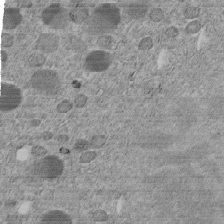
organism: C. elegans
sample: C. elegans embryo early stage